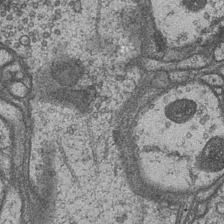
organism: Drosophila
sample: Optic medulla